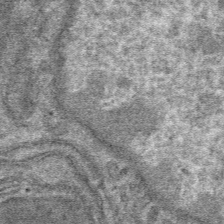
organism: Mouse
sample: Mouse hepatocytes